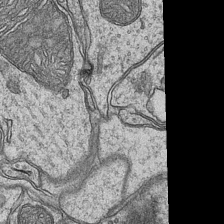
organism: Mouse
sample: CA1 Hippocampus